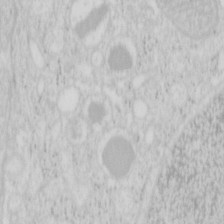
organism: Mouse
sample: Pancreas